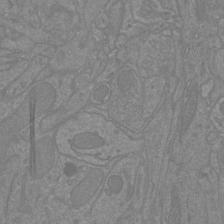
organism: Mouse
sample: Cortical neurons